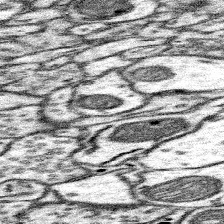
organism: Mouse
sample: Somatosensory cortex neuropil